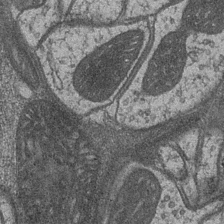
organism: Drosophila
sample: Optic medulla